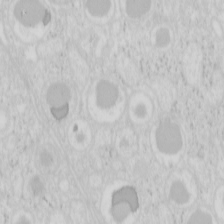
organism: Mouse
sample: Pancreas